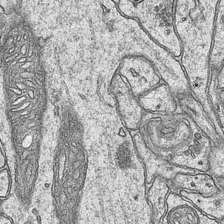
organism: Mouse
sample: CA1 Hippocampus